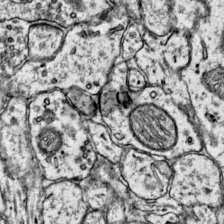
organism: Mouse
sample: Primary visual cortex